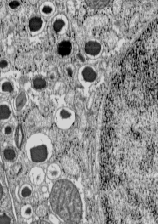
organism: C57BL Mouse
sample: Pancreatic islet